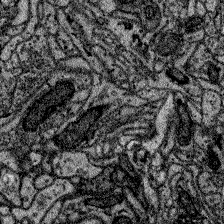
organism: Zebrafish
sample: Larval olfactory bulb